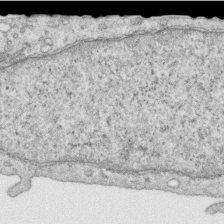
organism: Human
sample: Centriole in RPE cells